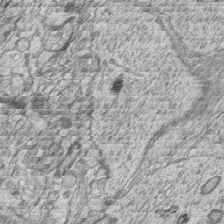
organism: Zebrafish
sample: synaptic ribbons in rod cells and cone cells